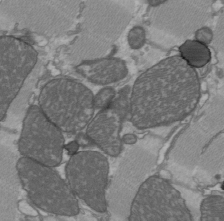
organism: C57BL Mouse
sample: Heart